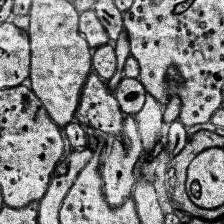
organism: Human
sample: Temporal Lobe